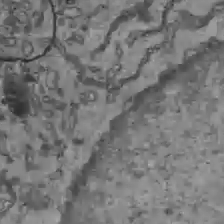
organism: C57BL Mouse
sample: Liver